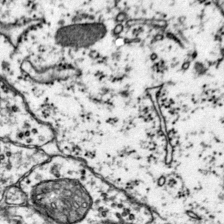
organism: Mouse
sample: Primary visual cortex